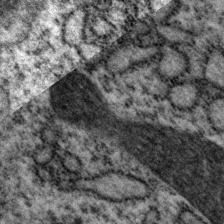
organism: P. pacificus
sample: Pharynx